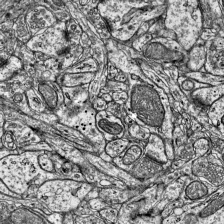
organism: Mouse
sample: Visual Cortex